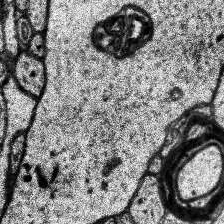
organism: Human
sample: Temporal Lobe